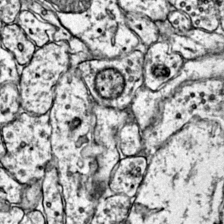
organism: Mouse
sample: Primary visual cortex